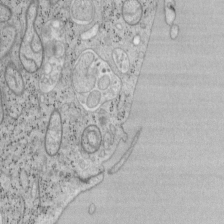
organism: Mouse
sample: OT-I killer T cells with ID8 ovarian cancer cells